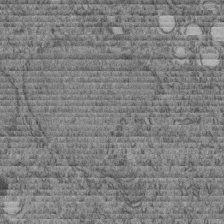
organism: C. elegans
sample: C. elegans embryo early stage